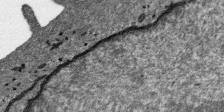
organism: Human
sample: Lung epithelial cells, uninfected (mock) control